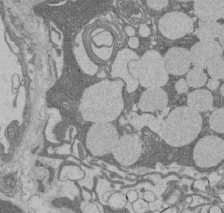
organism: Rat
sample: Salivary granule